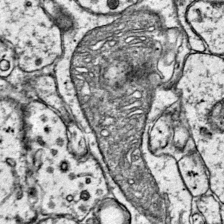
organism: Mouse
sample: Primary visual cortex